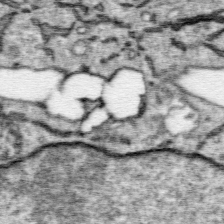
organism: Human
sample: HeLa cells